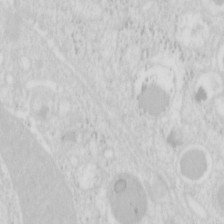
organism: Mouse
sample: Pancreas